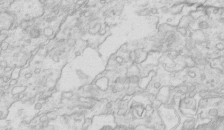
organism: Mouse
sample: Multiciliated cells